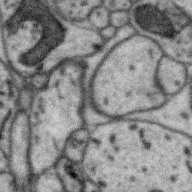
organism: Zebra finch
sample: Brain